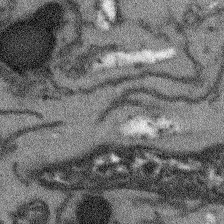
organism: Arabidopsis thaliana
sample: Root tip